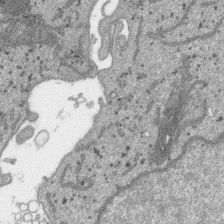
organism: Human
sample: Lung epithelial cells infected with SARS-CoV-2